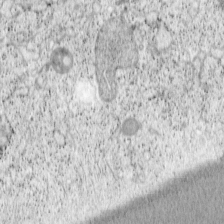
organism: African green monkey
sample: COS-7 cells